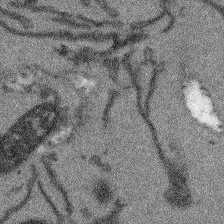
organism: Arabidopsis thaliana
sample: Root tip